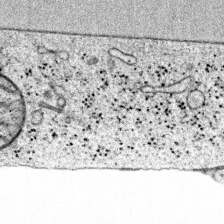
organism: Human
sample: HeLa cells